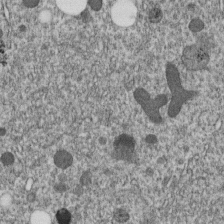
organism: C. elegans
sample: C. elegans embryo early stage